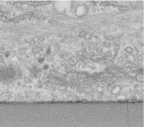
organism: Human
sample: Centriole in fibroblast cells